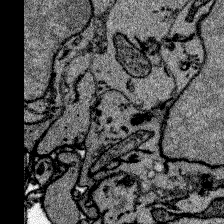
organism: Zebrafish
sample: Larval olfactory bulb